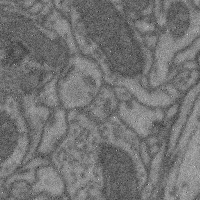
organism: Mouse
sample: Cerebral cortex